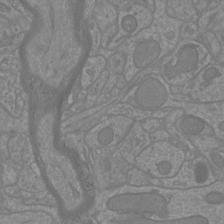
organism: Mouse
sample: Cortical neurons